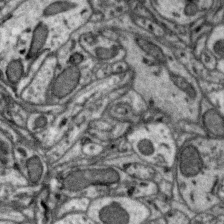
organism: Zebra finch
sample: Brain